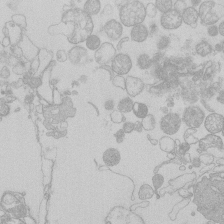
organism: Human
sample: Macrophage cells